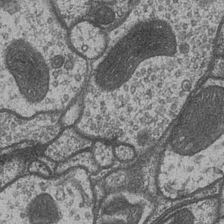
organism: Drosophila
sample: Optic medulla